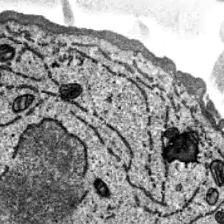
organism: Human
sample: HeLa cells